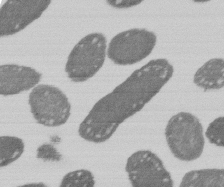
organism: E. coli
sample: Bacterial nucleoid